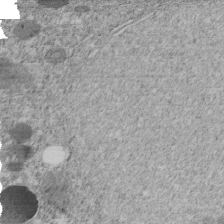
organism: C. elegans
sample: C. elegans embryo early stage